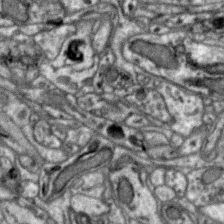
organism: Zebra finch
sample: Brain